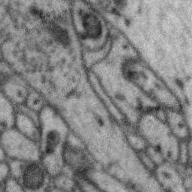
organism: Zebra finch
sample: Brain